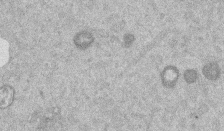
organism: Mouse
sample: Dividing mouse embryo 1 cell stage